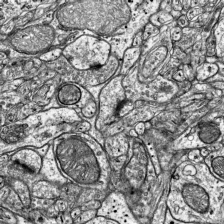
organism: Mouse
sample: Visual Cortex